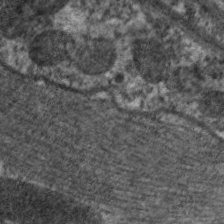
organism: C. elegans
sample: Pharynx